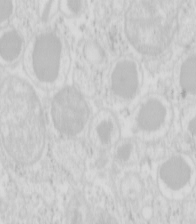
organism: Mouse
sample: Pancreas